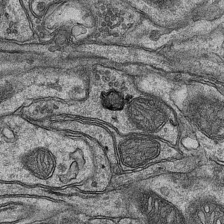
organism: Mouse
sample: CA1 Hippocampus